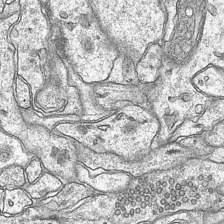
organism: Mouse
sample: CA1 Hippocampus